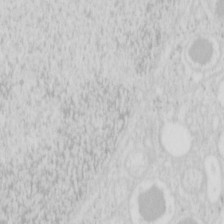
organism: Mouse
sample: Pancreas